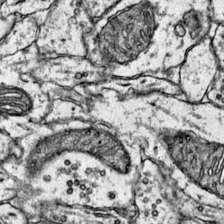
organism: Mouse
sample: Primary visual cortex